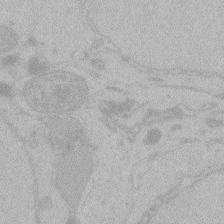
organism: Zebrafish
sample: Macrophage infected with Toxoplasma gondii